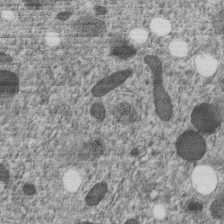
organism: C. elegans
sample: C. elegans embryo early stage